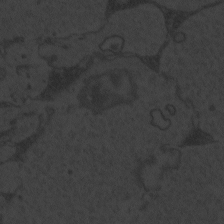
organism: Zebrafish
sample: Macrophage infected with Toxoplasma gondii